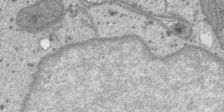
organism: Human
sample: Lung epithelial cells infected with SARS-CoV-2